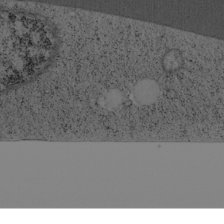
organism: African green monkey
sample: COS-7 cells